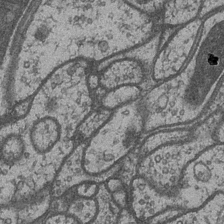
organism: Drosophila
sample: Optic medulla